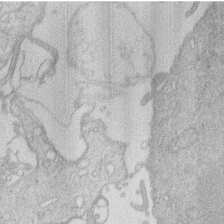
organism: Human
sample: Macrophage cells